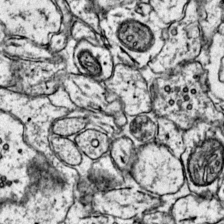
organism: Mouse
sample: Primary visual cortex